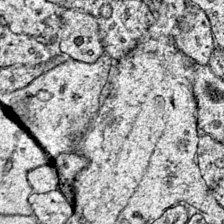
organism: Mouse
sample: Primary visual cortex